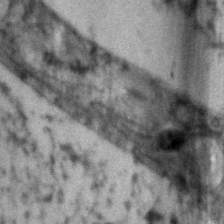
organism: Zebrafish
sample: Zebrafish embryo